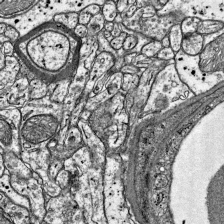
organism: Mouse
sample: Visual Cortex